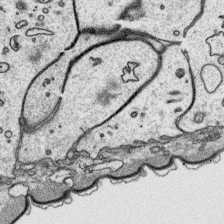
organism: Platynereis dumerilii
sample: Parapodia